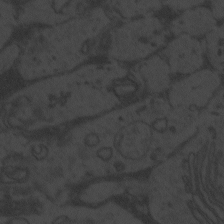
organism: Zebrafish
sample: Macrophage infected with Toxoplasma gondii